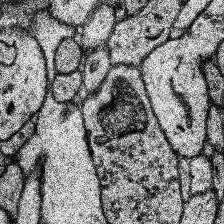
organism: Human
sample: Temporal Lobe